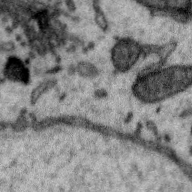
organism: Zebra finch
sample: Brain